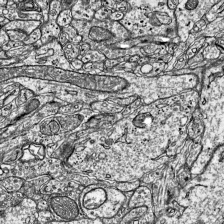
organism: Mouse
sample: Visual Cortex